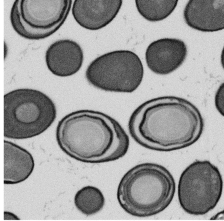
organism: B. subtilis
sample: Bacterial spore